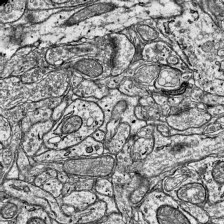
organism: Mouse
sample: Visual Cortex